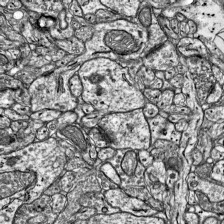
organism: Mouse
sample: Visual Cortex